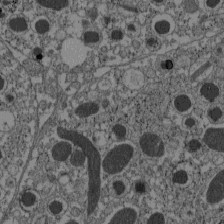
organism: C57BL Mouse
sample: Pancreatic islet